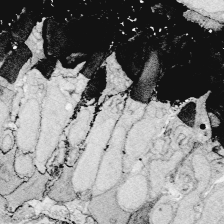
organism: Zebrafish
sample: Whole-Brain